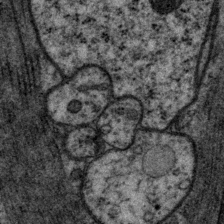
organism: P. pacificus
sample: Pharynx